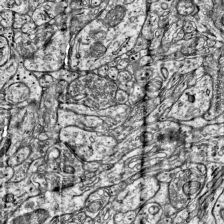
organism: Mouse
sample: Visual Cortex